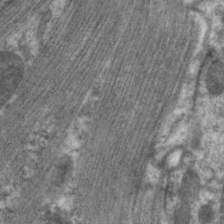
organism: C. elegans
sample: Pharynx